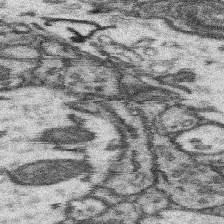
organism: Mouse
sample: Somatosensory cortex neuropil